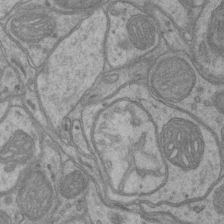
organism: Mouse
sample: CA1 Hippocampus